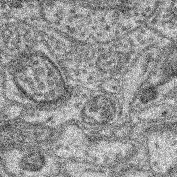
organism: Mouse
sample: Retina